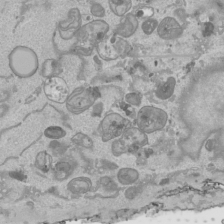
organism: Human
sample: Mitochondria in HCT116 cells